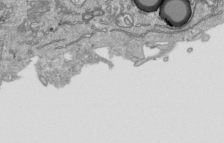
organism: Human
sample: Mitochondria in HCT116 cells